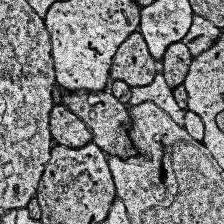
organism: Human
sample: Temporal Lobe